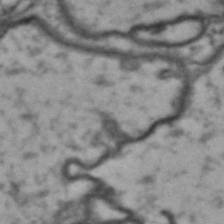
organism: Drosophila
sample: Brain